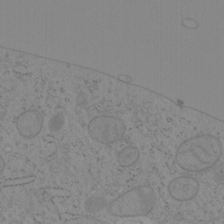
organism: Human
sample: HeLa cells